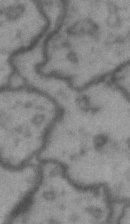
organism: Drosophila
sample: Brain